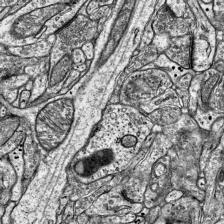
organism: Mouse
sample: Visual Cortex